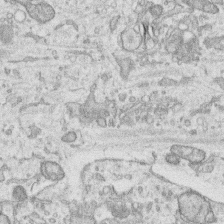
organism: Human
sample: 1205lu cells